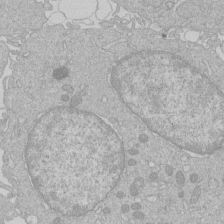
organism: Human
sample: Macrophage cells